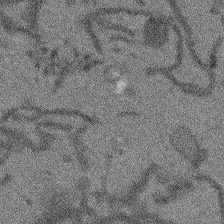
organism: Arabidopsis thaliana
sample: Root tip